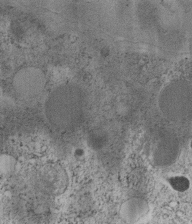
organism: C. elegans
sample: C. elegans embryo early stage